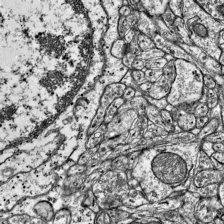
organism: Mouse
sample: Visual Cortex